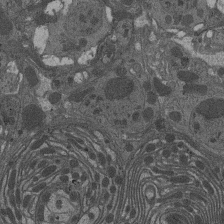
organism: Drosophila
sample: Antenna